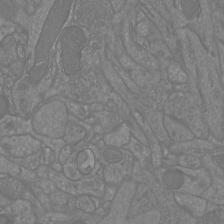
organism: Mouse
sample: Cortical neurons